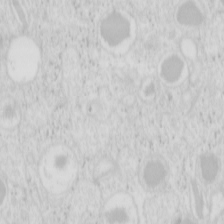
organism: Mouse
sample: Pancreas